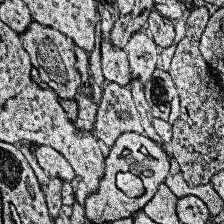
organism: Human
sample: Temporal Lobe